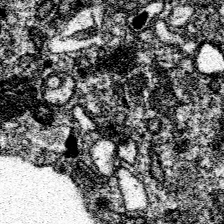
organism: Spongilla lacustris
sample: Neuroid cell